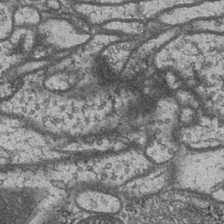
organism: Drosophila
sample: Optic medulla